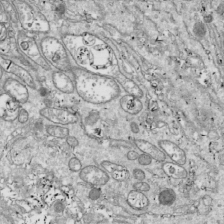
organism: Drosophila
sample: Cell division; meiosis; drosophila spermatocytes